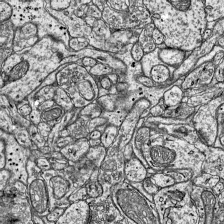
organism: Mouse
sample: Visual Cortex